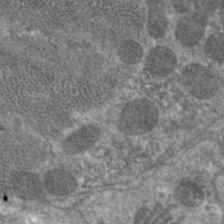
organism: C. elegans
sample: Pharynx